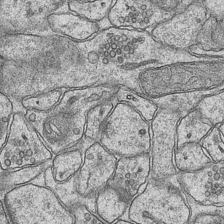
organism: Mouse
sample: CA1 Hippocampus